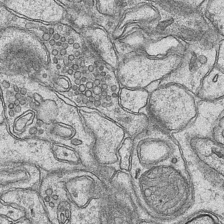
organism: Mouse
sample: CA1 Hippocampus